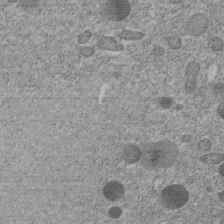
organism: C. elegans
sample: C. elegans embryo early stage